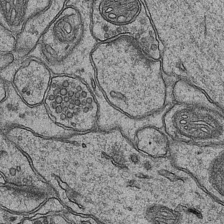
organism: Mouse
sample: CA1 Hippocampus